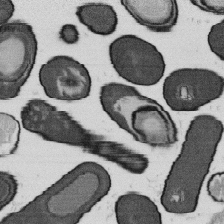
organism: B. subtilis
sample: Bacterial spore